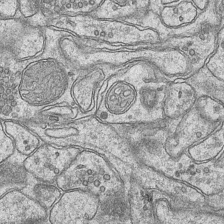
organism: Mouse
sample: CA1 Hippocampus